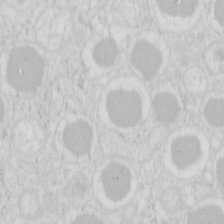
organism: Mouse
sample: Pancreas